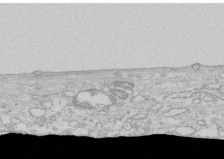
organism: Human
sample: CRL-1474